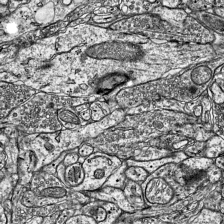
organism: Mouse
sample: Visual Cortex